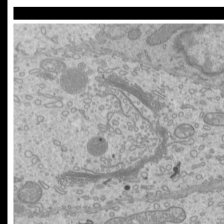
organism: Mouse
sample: Cilia; mouse epididymis